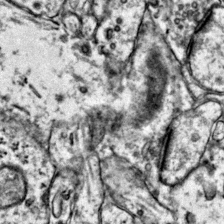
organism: Mouse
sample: Primary visual cortex